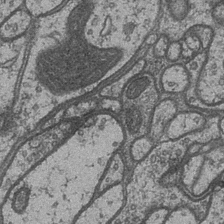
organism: Drosophila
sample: Optic medulla